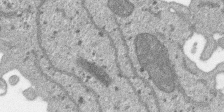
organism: Human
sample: Lung epithelial cells infected with SARS-CoV-2